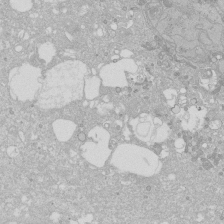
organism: Human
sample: Caco-2 cells